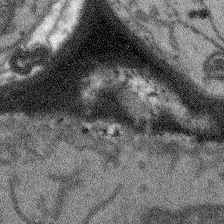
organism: Arabidopsis thaliana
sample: Root tip